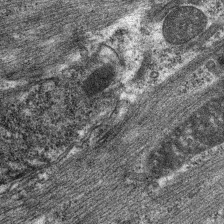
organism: C. elegans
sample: Pharynx